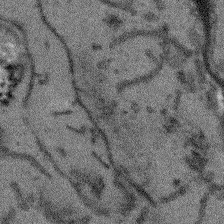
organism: Arabidopsis thaliana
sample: Root tip